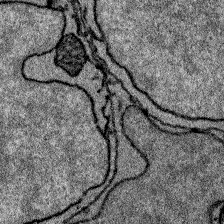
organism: Zebrafish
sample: Larval olfactory bulb